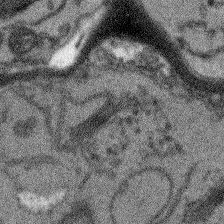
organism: Arabidopsis thaliana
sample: Root tip